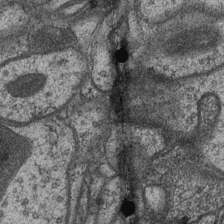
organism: Drosophila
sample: Optic medulla